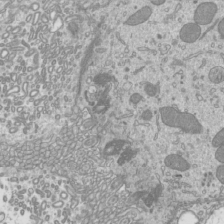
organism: Mouse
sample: Cilia; mouse epididymis